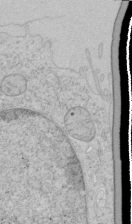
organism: Human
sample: Mitochondria in HCT116 cells